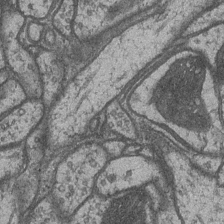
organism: Drosophila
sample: Optic medulla